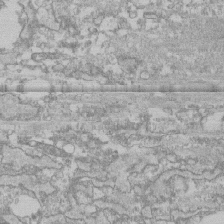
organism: Human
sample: CRL-1474